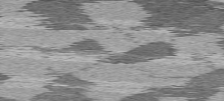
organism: C57BL Mouse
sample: Heart